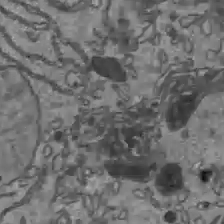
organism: C57BL Mouse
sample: Liver